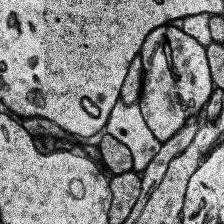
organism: Human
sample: Temporal Lobe